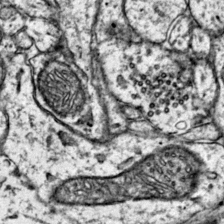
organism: Mouse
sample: Primary visual cortex